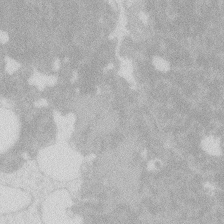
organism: Zebrafish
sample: Macrophage